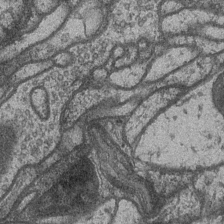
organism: Drosophila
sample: Optic medulla